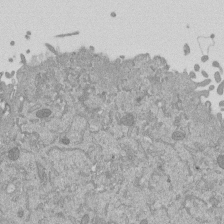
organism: Mouse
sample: ED-1 cell nuclei; centrioles